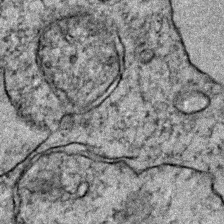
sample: Trachea